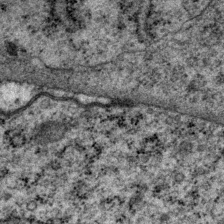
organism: P. pacificus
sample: Pharynx